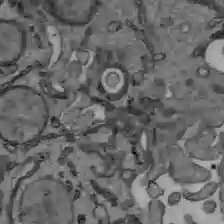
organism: C57BL Mouse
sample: Liver